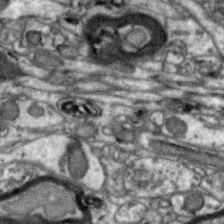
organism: Zebra finch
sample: Brain